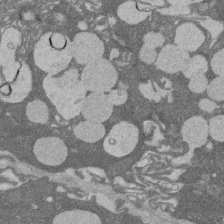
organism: Rat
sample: Salivary granule